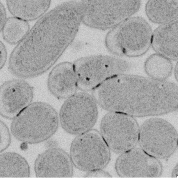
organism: E. coli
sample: Bacterial nucleoid